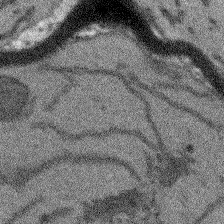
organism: Arabidopsis thaliana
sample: Root tip